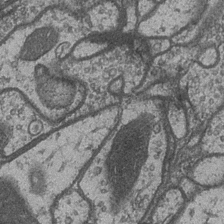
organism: Drosophila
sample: Optic medulla